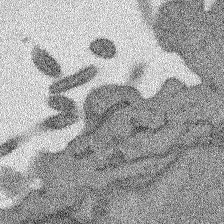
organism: Human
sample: HeLa cells